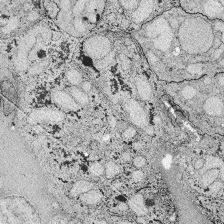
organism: Zebrafish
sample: Whole-Brain